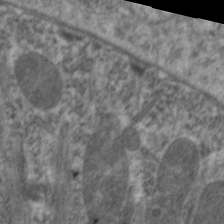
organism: C. elegans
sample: Pharynx